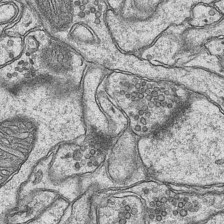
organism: Mouse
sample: CA1 Hippocampus